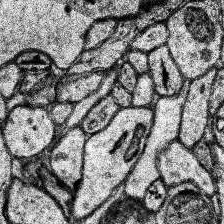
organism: Human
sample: Temporal Lobe